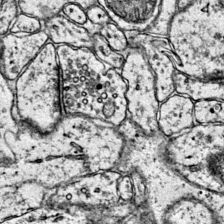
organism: Mouse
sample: Primary visual cortex